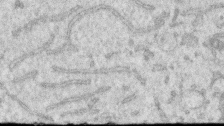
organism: Human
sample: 1205lu cells